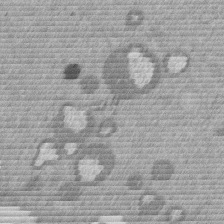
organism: Mouse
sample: Dividing mouse embryo 1 cell stage